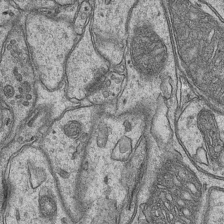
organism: Mouse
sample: CA1 Hippocampus